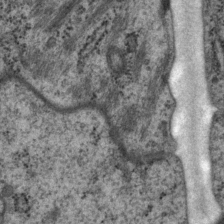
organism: P. pacificus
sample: Pharynx